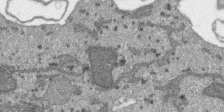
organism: Human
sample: Lung epithelial cells infected with SARS-CoV-2